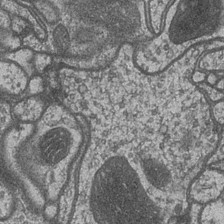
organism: Drosophila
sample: Optic medulla